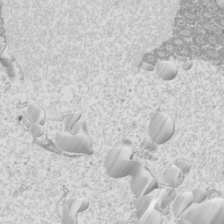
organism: Mouse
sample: Cilia; mouse epididymis